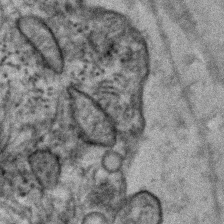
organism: Human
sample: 1205lu cells